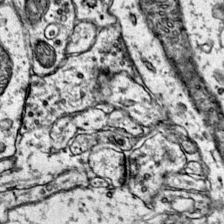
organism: Mouse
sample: Primary visual cortex